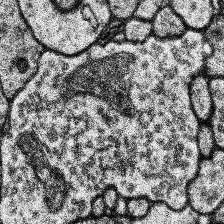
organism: Human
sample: Temporal Lobe